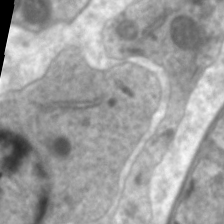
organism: C. elegans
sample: Pharynx